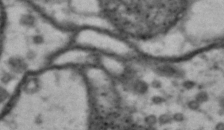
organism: Drosophila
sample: Brain